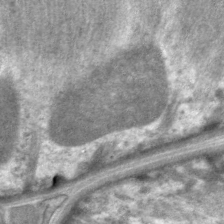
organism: C. elegans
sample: Pharynx